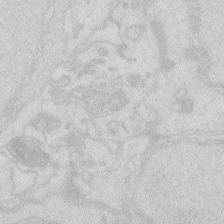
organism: Zebrafish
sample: Macrophage